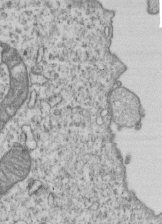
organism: Human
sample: MDA-MB-231 cells